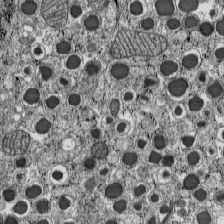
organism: C57BL Mouse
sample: Pancreatic islet